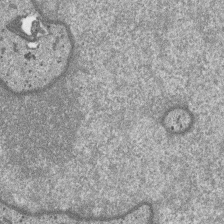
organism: Human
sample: Lung epithelial cells infected with SARS-CoV-2